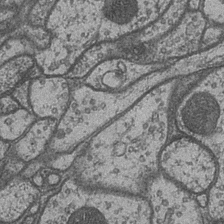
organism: Drosophila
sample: Optic medulla